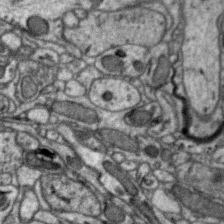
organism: Zebra finch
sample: Brain